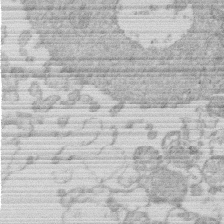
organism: Human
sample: Macrophage cells